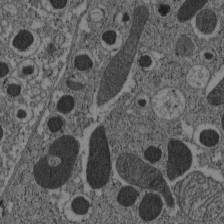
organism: C57BL Mouse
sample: Pancreatic islet